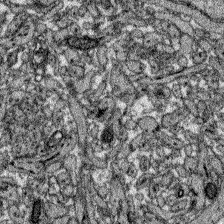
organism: Zebrafish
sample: Larval olfactory bulb